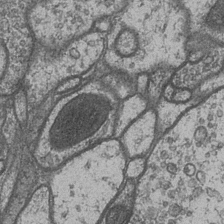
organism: Drosophila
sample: Optic medulla